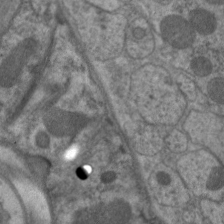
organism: C. elegans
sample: Pharynx